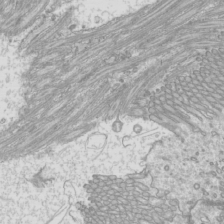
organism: Mouse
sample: Cilia; mouse epididymis